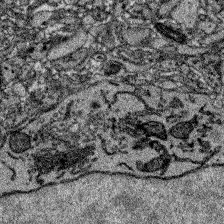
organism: Zebrafish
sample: Larval olfactory bulb